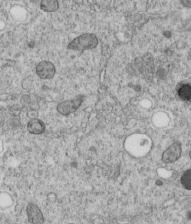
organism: C. elegans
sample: C. elegans embryo early stage